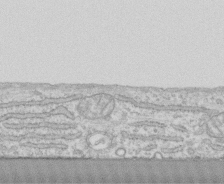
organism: Human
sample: CRL-1474